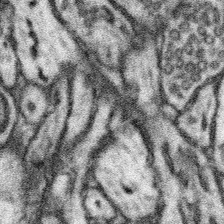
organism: Mouse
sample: Somatosensory cortex neuropil